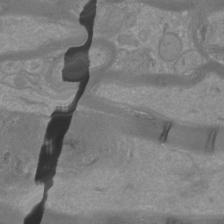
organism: Mouse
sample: Cortical neurons